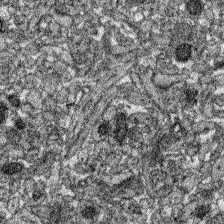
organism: Zebrafish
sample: Larval olfactory bulb